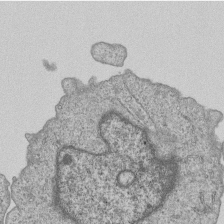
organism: Human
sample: MDA-MB-231 cells